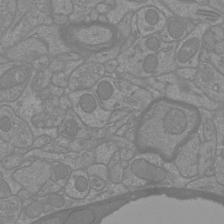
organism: Mouse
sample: Cortical neurons